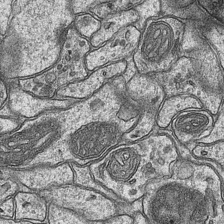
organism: Mouse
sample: CA1 Hippocampus